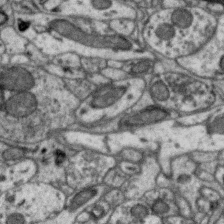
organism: Zebra finch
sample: Brain